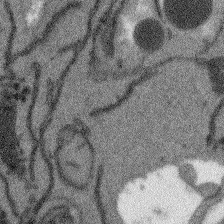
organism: Arabidopsis thaliana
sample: Root tip